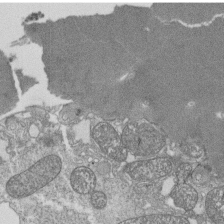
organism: Tetrahymena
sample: Cilia in tetrahymena